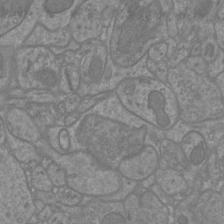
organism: Mouse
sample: Cortical neurons